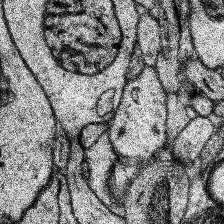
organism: Human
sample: Temporal Lobe